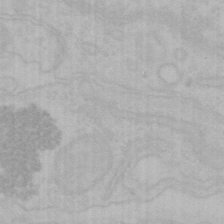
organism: Mouse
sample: Choroid plexus